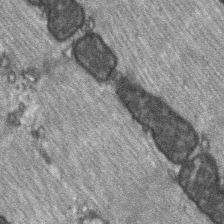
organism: C57BL Mouse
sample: Soleus